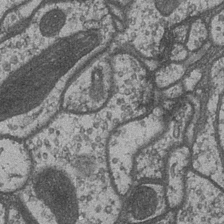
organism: Drosophila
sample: Optic medulla